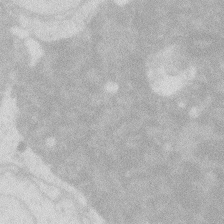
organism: Zebrafish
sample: Macrophage